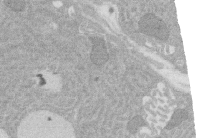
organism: Rat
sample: Salivary granule